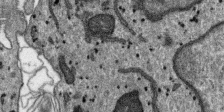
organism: Human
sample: Lung epithelial cells, uninfected (mock) control